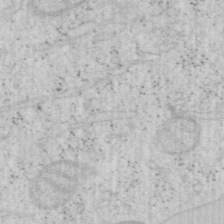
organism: Human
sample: HeLa cells